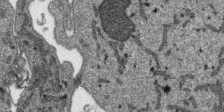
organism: Human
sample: Lung epithelial cells infected with SARS-CoV-2